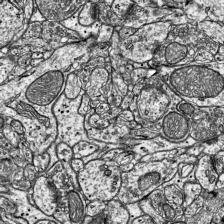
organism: Mouse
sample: Visual Cortex